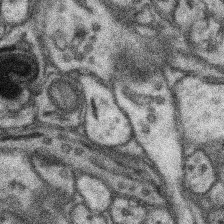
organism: Mouse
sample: Somatosensory cortex neuropil